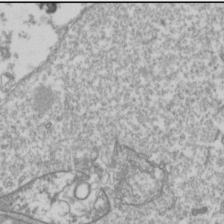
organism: Drosophila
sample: Cell division; meiosis; drosophila spermatocytes